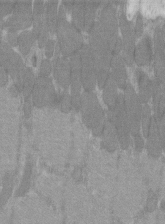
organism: C57BL Mouse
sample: Tibialis anterior muscle cell